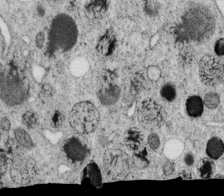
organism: C. elegans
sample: C. elegans oocyte; sperm cells